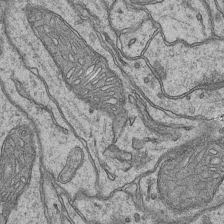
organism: Mouse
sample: CA1 Hippocampus